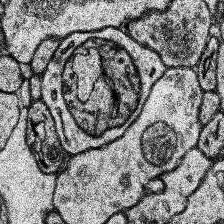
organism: Human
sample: Temporal Lobe